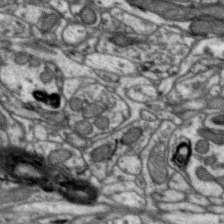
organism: Zebra finch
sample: Brain